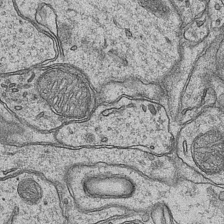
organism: Mouse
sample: CA1 Hippocampus